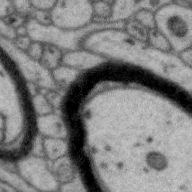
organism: Zebra finch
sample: Brain